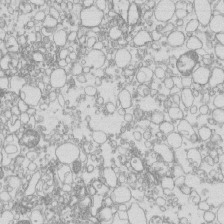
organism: Mouse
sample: Macrophages